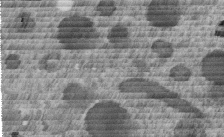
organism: C. elegans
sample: C. elegans embryo early stage